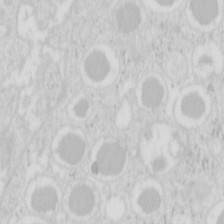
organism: Mouse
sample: Pancreas